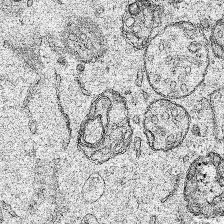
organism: Human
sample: Mitochondria in HCT116 cells